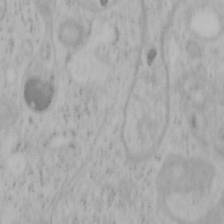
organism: Mouse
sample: OT-I killer T cells with ID8 ovarian cancer cells